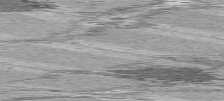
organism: C57BL Mouse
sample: Heart